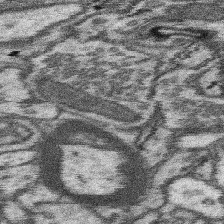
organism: Mouse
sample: Somatosensory cortex neuropil